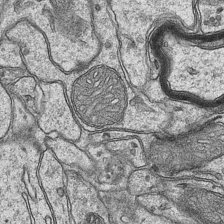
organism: Mouse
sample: CA1 Hippocampus